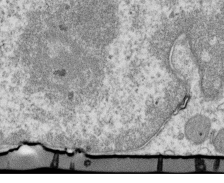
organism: Mouse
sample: Activated OT-1 CD8+ T cells